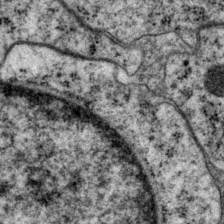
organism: P. pacificus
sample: Pharynx